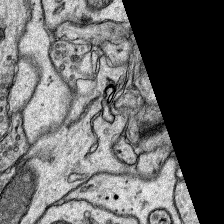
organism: Rat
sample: Hippocampus